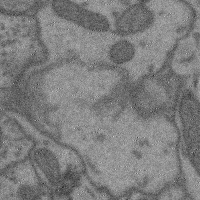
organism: Mouse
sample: Cerebral cortex